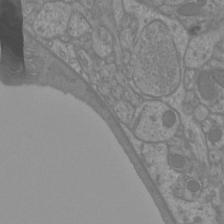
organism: Mouse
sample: Cortical neurons